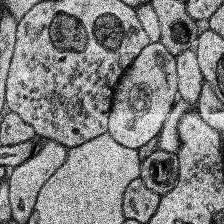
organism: Human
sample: Temporal Lobe